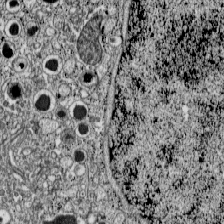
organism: C57BL Mouse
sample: Pancreatic islet